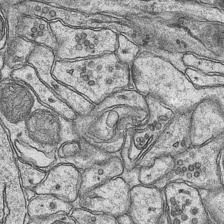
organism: Mouse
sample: CA1 Hippocampus